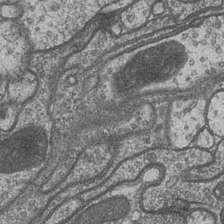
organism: Drosophila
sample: Optic medulla